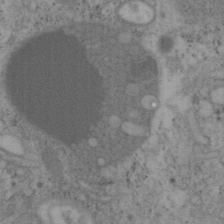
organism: Mouse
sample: OT-I killer T cells with ID8 ovarian cancer cells